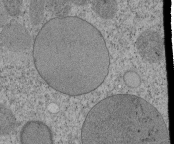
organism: Tetrahymena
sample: Cilia in tetrahymena